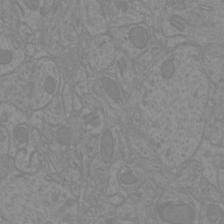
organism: Mouse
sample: Cortical neurons